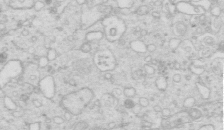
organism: Mouse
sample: Multiciliated cells